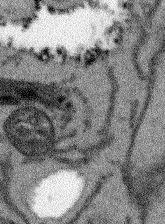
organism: Arabidopsis thaliana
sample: Root tip